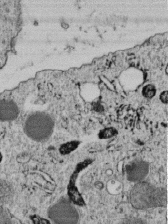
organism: C. elegans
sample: C. elegans embryo early stage